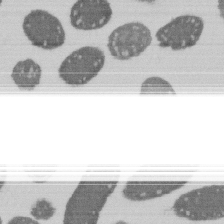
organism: E. coli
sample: Bacterial nucleoid